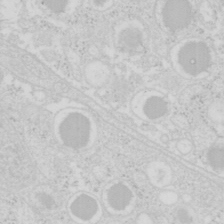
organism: Mouse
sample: Pancreas